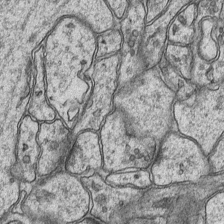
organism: Mouse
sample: CA1 Hippocampus